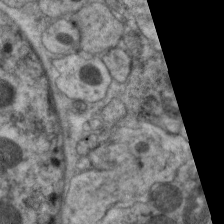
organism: C. elegans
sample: Pharynx